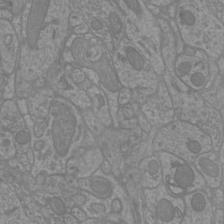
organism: Mouse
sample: Cortical neurons